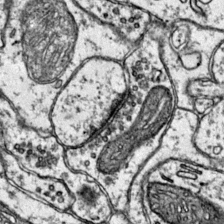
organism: Mouse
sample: Primary visual cortex